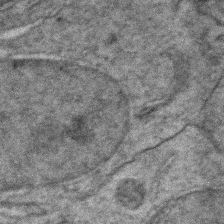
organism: Zebrafish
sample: Zebrafish embryo